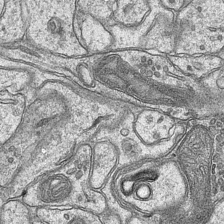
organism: Mouse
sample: CA1 Hippocampus